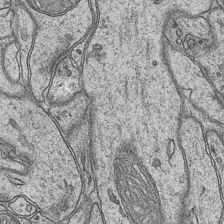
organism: Mouse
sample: CA1 Hippocampus